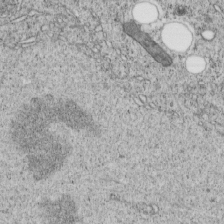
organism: C. elegans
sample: C. elegans embryo early stage